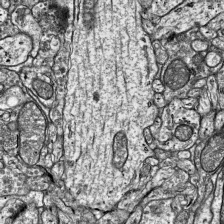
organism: Mouse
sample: Visual Cortex